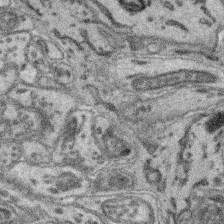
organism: Mouse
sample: Retina